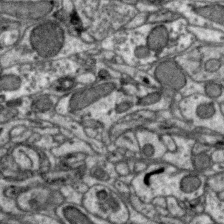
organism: Zebra finch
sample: Brain